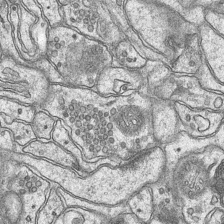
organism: Mouse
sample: CA1 Hippocampus